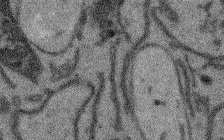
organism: Arabidopsis thaliana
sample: Root tip